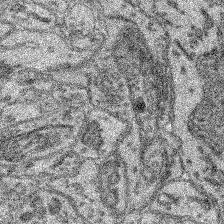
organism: Mouse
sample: Retina